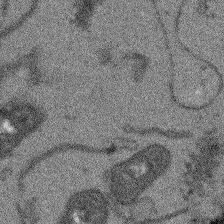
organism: Arabidopsis thaliana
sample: Root tip